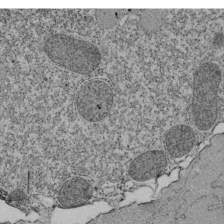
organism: Tetrahymena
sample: Cilia in tetrahymena